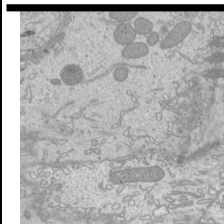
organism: Mouse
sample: Cilia; mouse epididymis